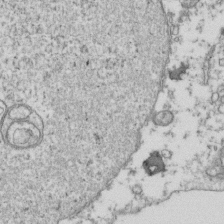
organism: Human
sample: Activated Jurkat CD4+ T cells